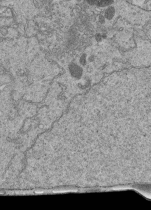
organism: Human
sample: Retinal organoid Rod and Cone cells